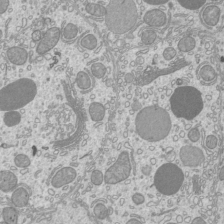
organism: Mouse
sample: Cilia; mouse epididymis